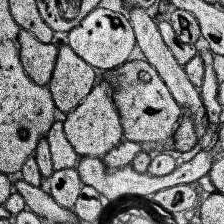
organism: Human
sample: Temporal Lobe